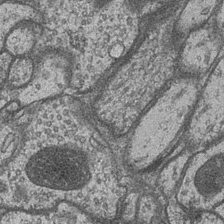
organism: Drosophila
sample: Optic medulla